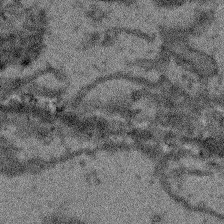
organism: Arabidopsis thaliana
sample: Root tip